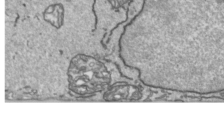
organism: Human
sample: Mitochondria in HCT116 cells